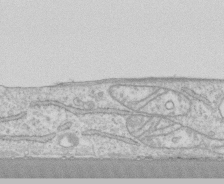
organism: Human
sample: CRL-1474